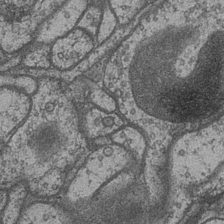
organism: Drosophila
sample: Optic medulla